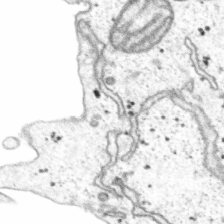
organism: Human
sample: HeLa cells